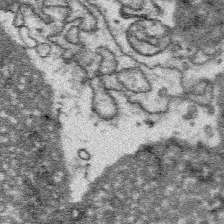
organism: Platynereis dumerilii